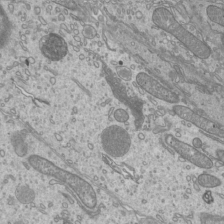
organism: Mouse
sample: Cilia; mouse epididymis